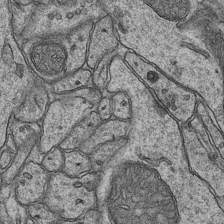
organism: Mouse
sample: CA1 Hippocampus